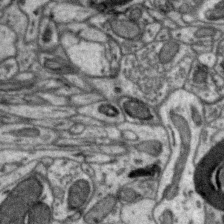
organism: Zebra finch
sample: Brain